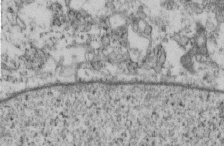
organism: Mouse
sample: Cilia; retinal pigment epithelium